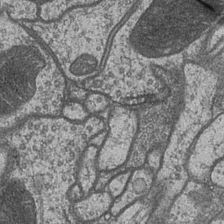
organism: Drosophila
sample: Optic medulla